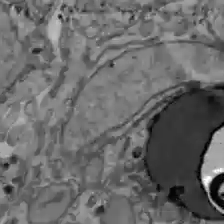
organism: C57BL Mouse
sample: Liver